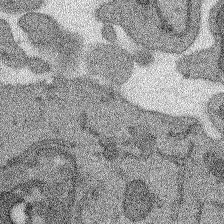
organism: Human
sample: HeLa cells